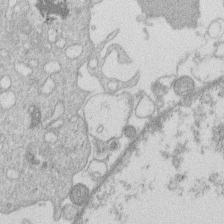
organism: Human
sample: Macrophage cells